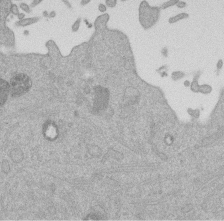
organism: Mouse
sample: Dividing mouse embryo 1 cell stage